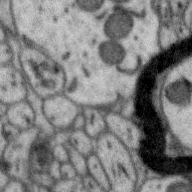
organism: Zebra finch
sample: Brain